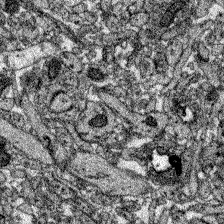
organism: Zebrafish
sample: Larval olfactory bulb